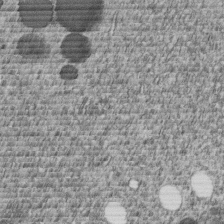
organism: C. elegans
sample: C. elegans embryo early stage